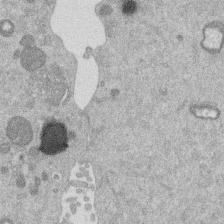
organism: Mouse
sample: Dividing mouse embryo 1 cell stage